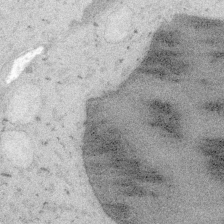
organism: Embia sp.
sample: Silk gland